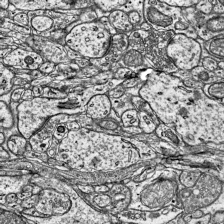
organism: Mouse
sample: Visual Cortex